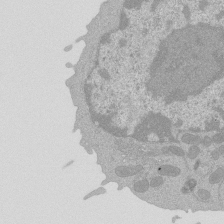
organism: Mouse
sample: Activated Pmel transgenic CD8+ T Cells